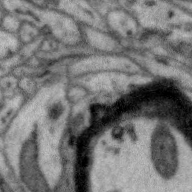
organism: Zebra finch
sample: Brain